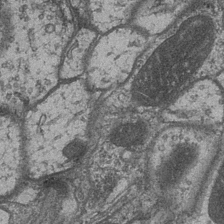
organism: Drosophila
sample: Optic medulla